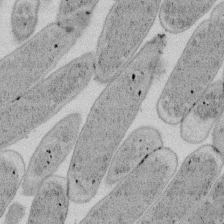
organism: E. coli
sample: Bacterial nucleoid